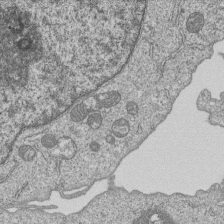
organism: Human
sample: MDA-MB-231 cells